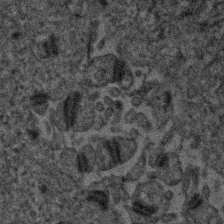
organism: Human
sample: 1205lu cells